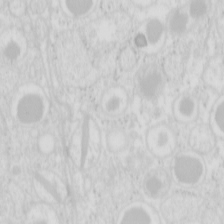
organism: Mouse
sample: Pancreas